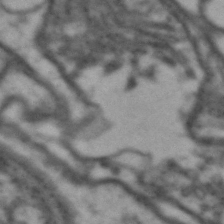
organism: Drosophila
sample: Brain